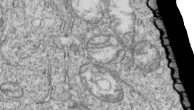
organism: Human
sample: HeLa cell HIV synapse